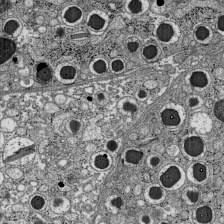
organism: C57BL Mouse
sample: Pancreatic islet